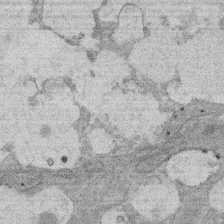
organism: Rat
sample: Salivary granule